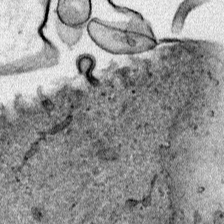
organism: Human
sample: Mitochondria in HCT116 cells